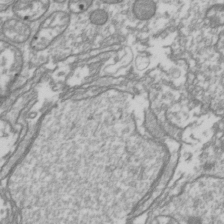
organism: Drosophila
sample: Cell division; meiosis; drosophila spermatocytes